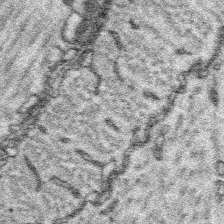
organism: Platynereis dumerilii